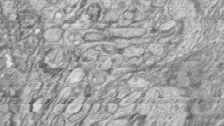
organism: Zebrafish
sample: synaptic ribbons in rod cells and cone cells